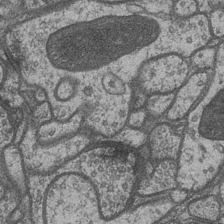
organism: Drosophila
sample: Optic medulla